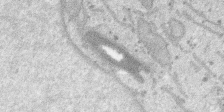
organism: Human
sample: Lung epithelial cells infected with SARS-CoV-2